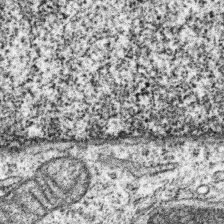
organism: Human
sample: HeLa cells